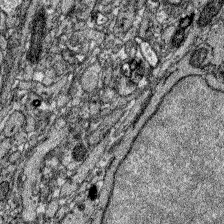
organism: Zebrafish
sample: Larval olfactory bulb